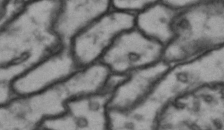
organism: Drosophila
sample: Brain